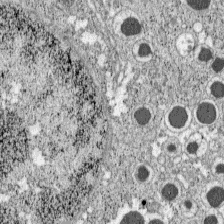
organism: C57BL Mouse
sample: Pancreatic islet